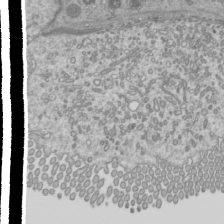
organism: Mouse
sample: Cilia; mouse epididymis